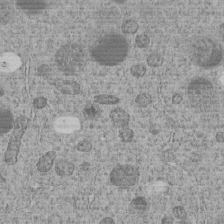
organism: C. elegans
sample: C. elegans embryo early stage